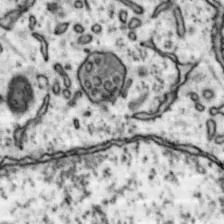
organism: Mouse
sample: Nucleus accumbens